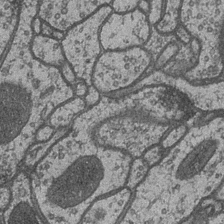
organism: Drosophila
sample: Optic medulla